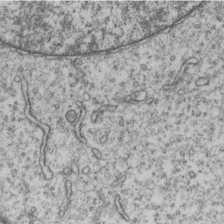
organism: Human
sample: MDA-MB-231 cells